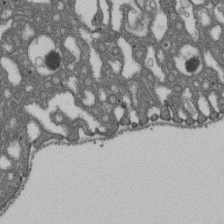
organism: Drosophila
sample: Nephrocyte